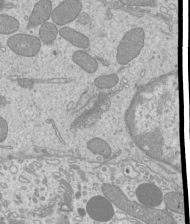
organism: Mouse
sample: Cilia; mouse epididymis